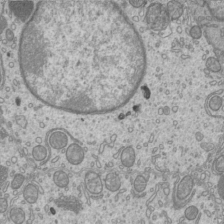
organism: Mouse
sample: Cilia; mouse epididymis